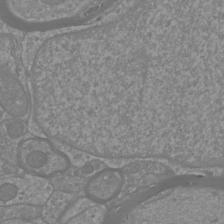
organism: Mouse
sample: Cortical neurons